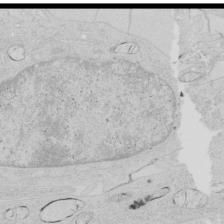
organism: Human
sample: Mitochondria in HCT116 cells